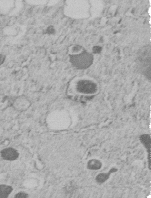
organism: C. elegans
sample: C. elegans embryo early stage